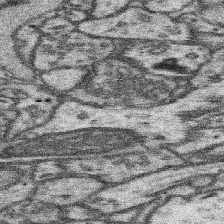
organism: Mouse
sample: Somatosensory cortex neuropil